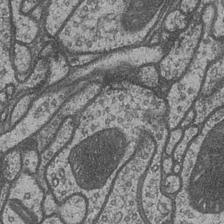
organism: Drosophila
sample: Optic medulla